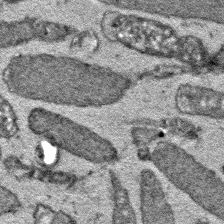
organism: E. coli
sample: E. Coli Bacteria